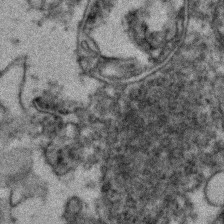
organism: Zebrafish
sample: Zebrafish embryo